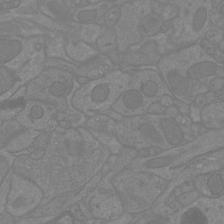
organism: Mouse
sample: Cortical neurons